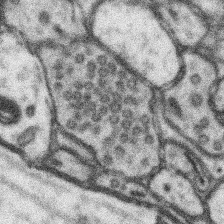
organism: Mouse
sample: Somatosensory cortex neuropil